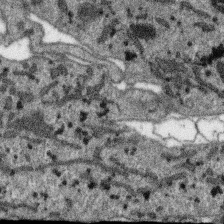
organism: Human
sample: Lung epithelial cells infected with SARS-CoV-2